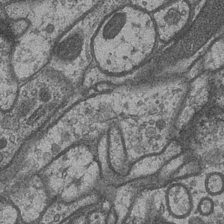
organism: Drosophila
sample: Optic medulla